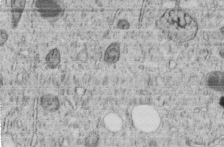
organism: C. elegans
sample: C. elegans embryo early stage